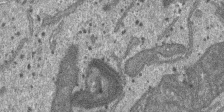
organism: Human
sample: Lung epithelial cells infected with SARS-CoV-2